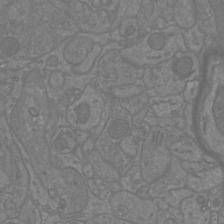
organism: Mouse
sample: Cortical neurons